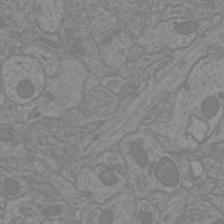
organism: Mouse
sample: Cortical neurons